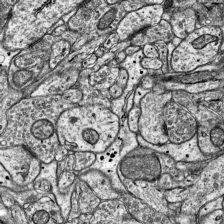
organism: Mouse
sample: Visual Cortex